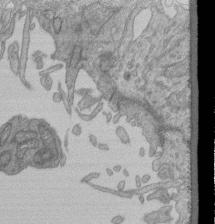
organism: Human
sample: Retinal organoid Rod and Cone cells